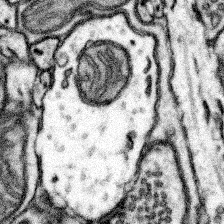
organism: Mouse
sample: Somatosensory cortex neuropil